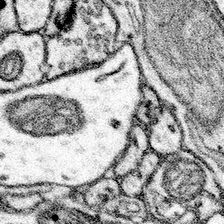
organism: Mouse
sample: Somatosensory cortex neuropil